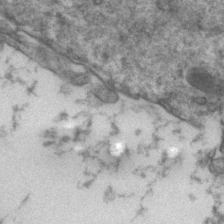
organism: Zebrafish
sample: Zebrafish embryo